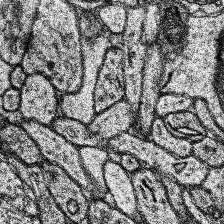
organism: Human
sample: Temporal Lobe